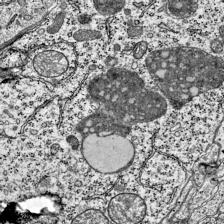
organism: Mouse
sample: Visual Cortex